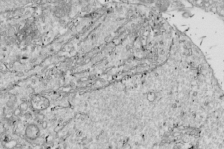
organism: Drosophila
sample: Cell division; meiosis; drosophila spermatocytes